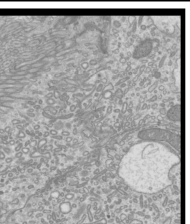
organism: Mouse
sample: Cilia; mouse epididymis